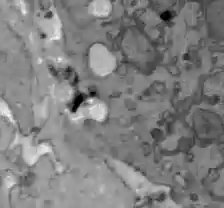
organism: C57BL Mouse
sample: Liver